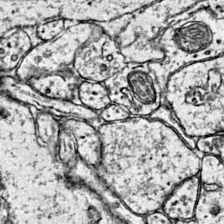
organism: Mouse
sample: Primary visual cortex